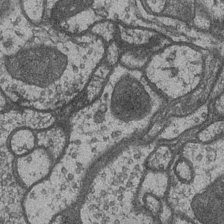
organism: Drosophila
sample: Optic medulla